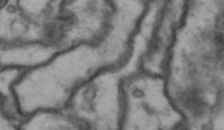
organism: Drosophila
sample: Brain